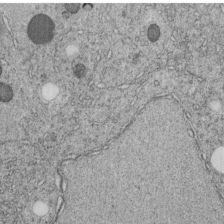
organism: C. elegans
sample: C. elegans embryo early stage